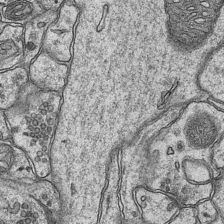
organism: Mouse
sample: CA1 Hippocampus